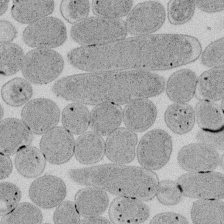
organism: E. coli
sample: Bacterial nucleoid